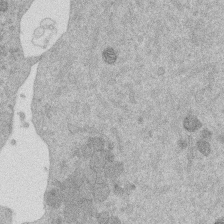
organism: Mouse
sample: Dividing mouse embryo 1 cell stage